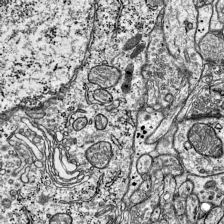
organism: Mouse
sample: Visual Cortex